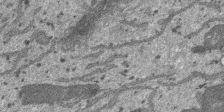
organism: Human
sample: Lung epithelial cells infected with SARS-CoV-2